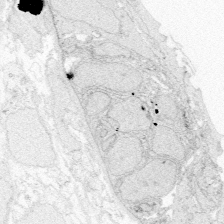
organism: Zebrafish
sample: Whole-Brain